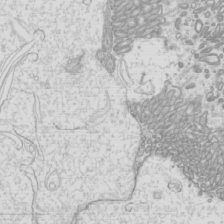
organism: Mouse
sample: Cilia; mouse epididymis